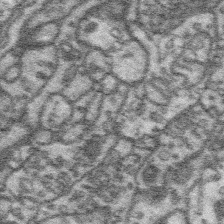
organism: Platynereis dumerilii